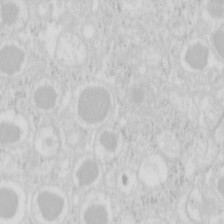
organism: Mouse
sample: Pancreas